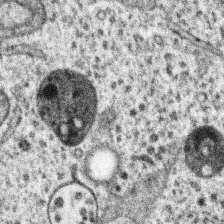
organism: Human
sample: HeLa cells